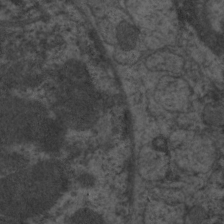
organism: C. elegans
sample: Pharynx